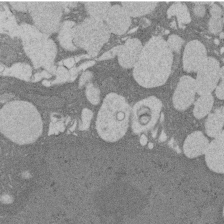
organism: Rat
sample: Salivary granule